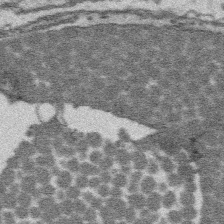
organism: Platynereis dumerilii